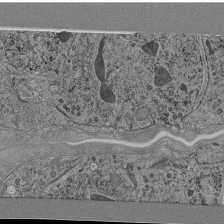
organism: C. elegans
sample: C. elegans pharynx